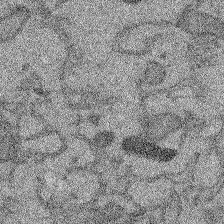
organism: Human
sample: HeLa cells